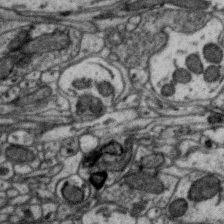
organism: Zebra finch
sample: Brain